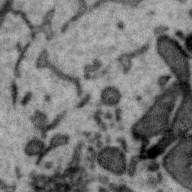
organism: Zebra finch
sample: Brain